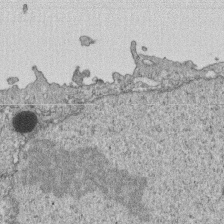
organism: Human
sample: HeLa cell HIV synapse